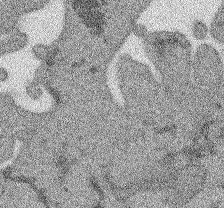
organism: Human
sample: HeLa cells